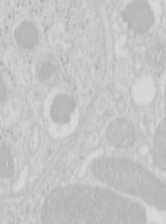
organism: Mouse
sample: Pancreas